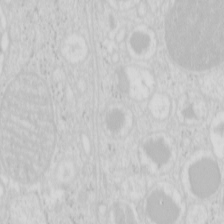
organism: Mouse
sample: Pancreas